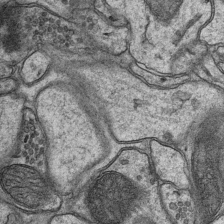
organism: Mouse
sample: CA1 Hippocampus